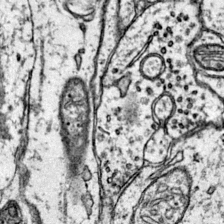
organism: Mouse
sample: Primary visual cortex